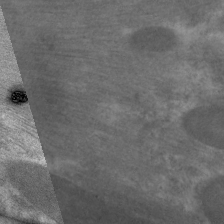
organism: C. elegans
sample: Pharynx